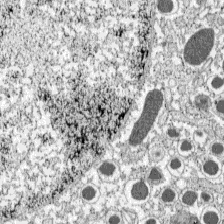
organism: C57BL Mouse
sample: Pancreatic islet